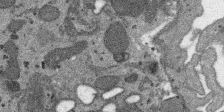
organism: Human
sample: Lung epithelial cells infected with SARS-CoV-2